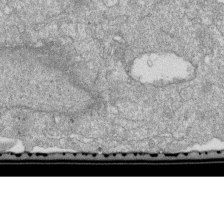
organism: Human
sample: HeLa cell HIV synapse